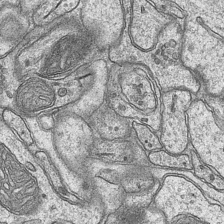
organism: Mouse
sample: CA1 Hippocampus